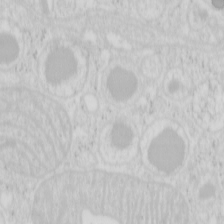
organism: Mouse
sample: Pancreas